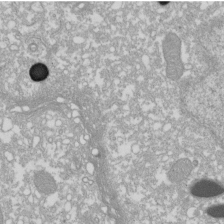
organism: Xenopus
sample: Cilia; centrioles in frog embryo cells